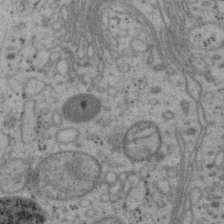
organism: Human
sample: HeLa cells